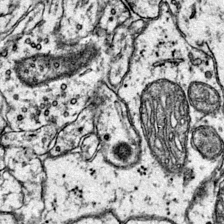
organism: Mouse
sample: Primary visual cortex